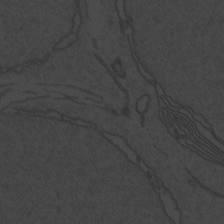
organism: Zebrafish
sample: Macrophage infected with Toxoplasma gondii